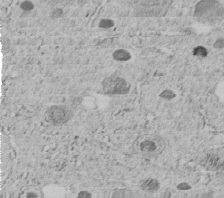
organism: C. elegans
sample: C. elegans embryo early stage